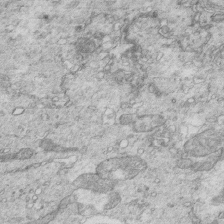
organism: Mouse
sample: Multiciliated cells